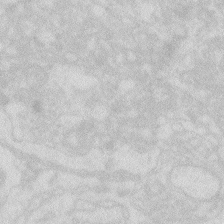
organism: Zebrafish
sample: Macrophage